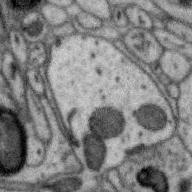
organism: Zebra finch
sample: Brain